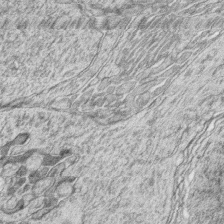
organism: Zebrafish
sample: synaptic ribbons in rod cells and cone cells